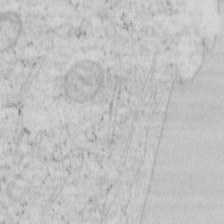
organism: Human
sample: HeLa cells